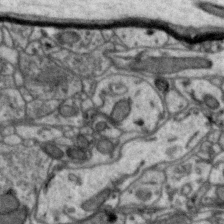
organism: Zebra finch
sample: Brain